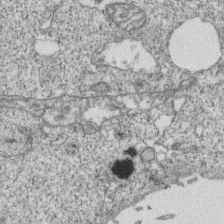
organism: Human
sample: HeLa cell HIV synapse